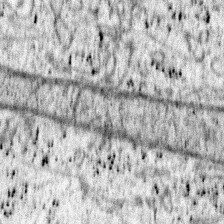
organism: Human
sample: HeLa cells